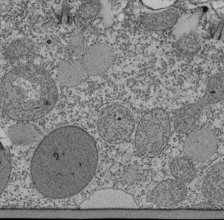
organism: Tetrahymena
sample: Cilia in tetrahymena